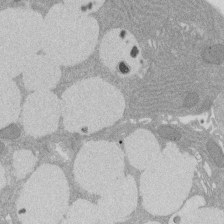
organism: Rat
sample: Salivary granule